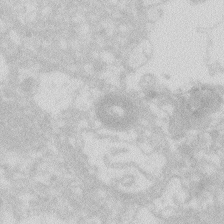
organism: Zebrafish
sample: Macrophage